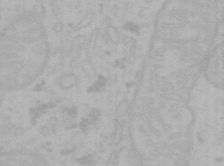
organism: Mouse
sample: Choroid plexus